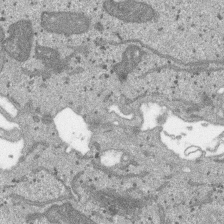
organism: Human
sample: Lung epithelial cells infected with SARS-CoV-2